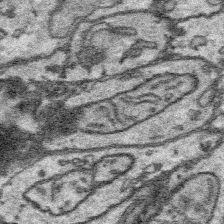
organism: Platynereis dumerilii